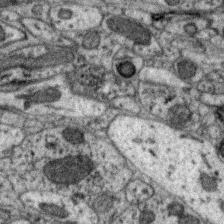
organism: Zebra finch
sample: Brain